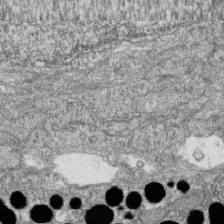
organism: Zebrafish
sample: Cilia; retinal pigment epithelium